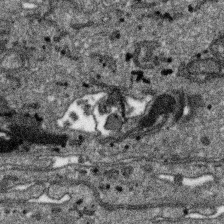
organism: Human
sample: Lung epithelial cells infected with SARS-CoV-2